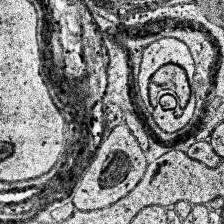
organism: Human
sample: Temporal Lobe